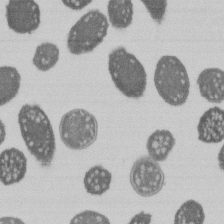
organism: E. coli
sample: Bacterial nucleoid